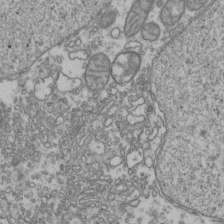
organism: Human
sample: Activated Jurkat CD4+ T cells